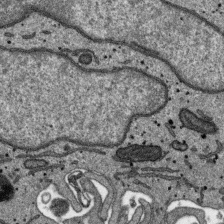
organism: Human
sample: Lung epithelial cells, uninfected (mock) control